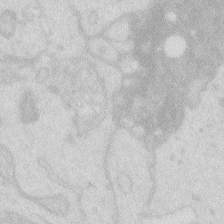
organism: Zebrafish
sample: Macrophage